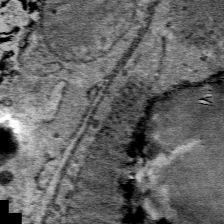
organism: Mouse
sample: Mouse Salivary gland